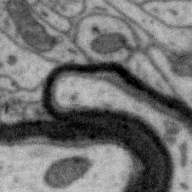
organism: Zebra finch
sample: Brain